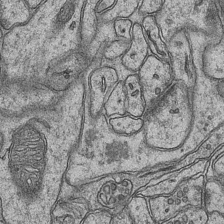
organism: Mouse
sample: CA1 Hippocampus